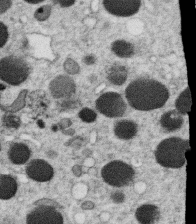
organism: C. elegans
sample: C. elegans oocyte; sperm cells